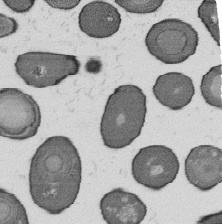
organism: B. subtilis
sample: Bacterial spore